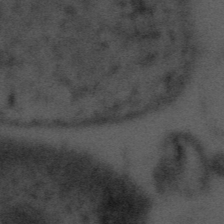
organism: Tuwongella immobilis